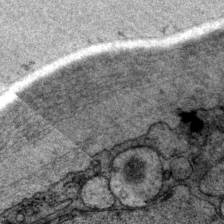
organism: P. pacificus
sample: Pharynx